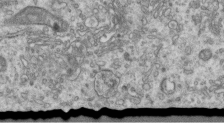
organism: Human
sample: Centriole in RPE cells